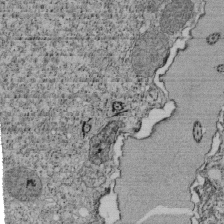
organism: Tetrahymena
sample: Cilia in tetrahymena